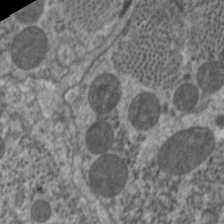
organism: C. elegans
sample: Pharynx